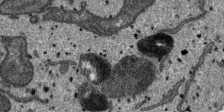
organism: Human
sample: Lung epithelial cells, uninfected (mock) control